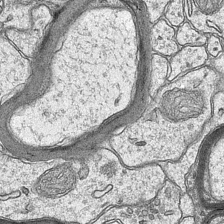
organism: Mouse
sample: CA1 Hippocampus